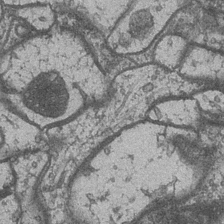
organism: Drosophila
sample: Optic medulla